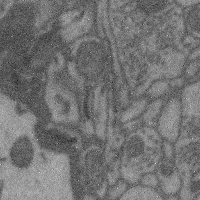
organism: Mouse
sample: Cerebral cortex